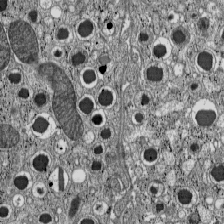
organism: C57BL Mouse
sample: Pancreatic islet